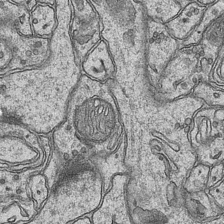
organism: Mouse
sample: CA1 Hippocampus